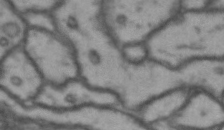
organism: Drosophila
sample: Brain